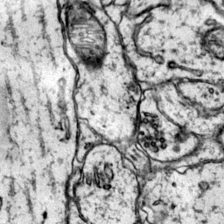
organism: Mouse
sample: Primary visual cortex